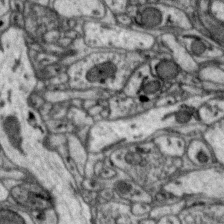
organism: Zebra finch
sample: Brain